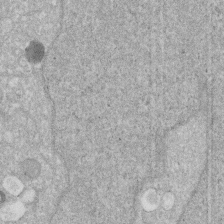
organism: Human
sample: HIV infected U937 cells